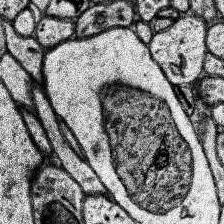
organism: Human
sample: Temporal Lobe